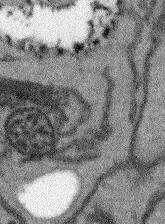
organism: Arabidopsis thaliana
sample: Root tip